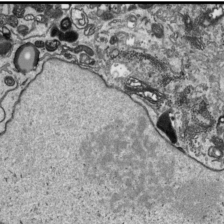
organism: Human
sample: Mitochondria in HCT116 cells